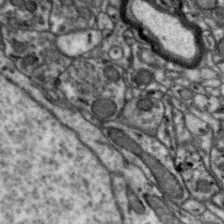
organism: Zebra finch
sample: Brain